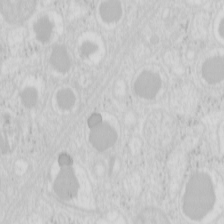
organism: Mouse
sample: Pancreas